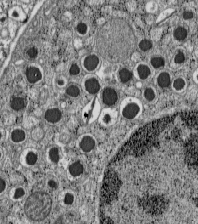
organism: C57BL Mouse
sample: Pancreatic islet